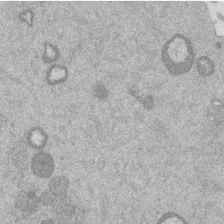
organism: Mouse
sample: Dividing mouse embryo 1 cell stage